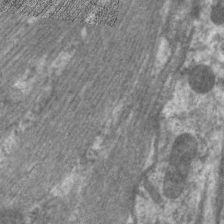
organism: C. elegans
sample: Pharynx